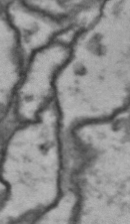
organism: Drosophila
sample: Brain